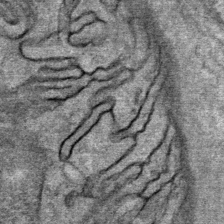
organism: Mouse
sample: Mouse Salivary gland